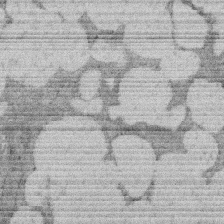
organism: Rat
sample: Salivary granule